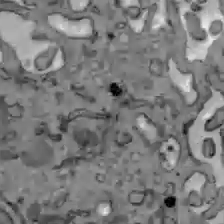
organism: C57BL Mouse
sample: Liver